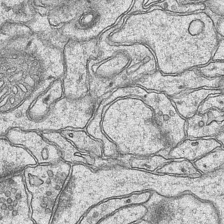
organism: Mouse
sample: CA1 Hippocampus